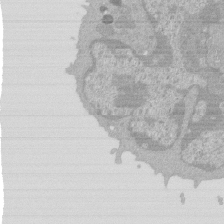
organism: Mouse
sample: Activated Pmel transgenic CD8+ T Cells